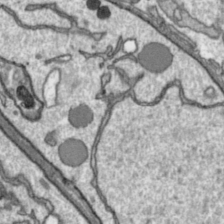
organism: Toxoplasma gondii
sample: Parasites in a vacuole inside a host cell